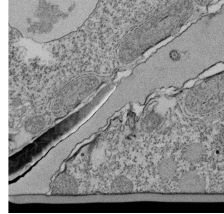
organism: Tetrahymena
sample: Cilia in tetrahymena